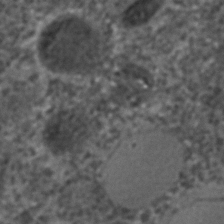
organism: C. elegans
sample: C. elegans embryo